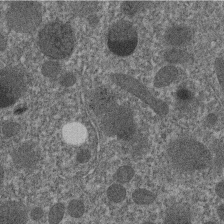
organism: C. elegans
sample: C. elegans embryo early stage